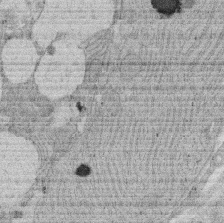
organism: Rat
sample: Salivary granule